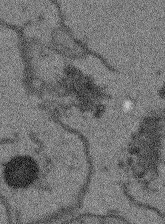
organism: Arabidopsis thaliana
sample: Root tip